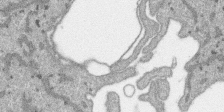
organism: Human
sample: Lung epithelial cells infected with SARS-CoV-2